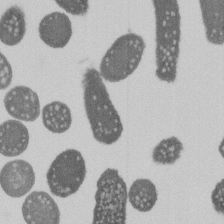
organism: E. coli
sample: Bacterial nucleoid